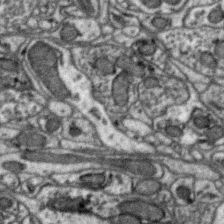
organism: Zebra finch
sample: Brain